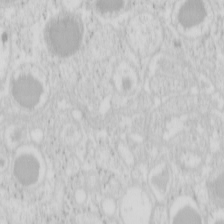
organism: Mouse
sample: Pancreas